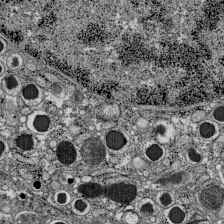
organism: C57BL Mouse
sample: Pancreatic islet